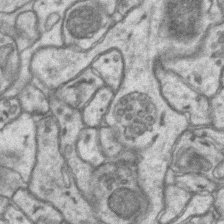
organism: Mouse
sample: CA1 Hippocampus